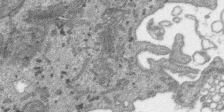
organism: Human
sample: Lung epithelial cells infected with SARS-CoV-2